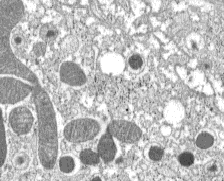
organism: C57BL Mouse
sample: Pancreatic islet